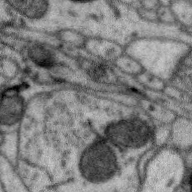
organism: Zebra finch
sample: Brain